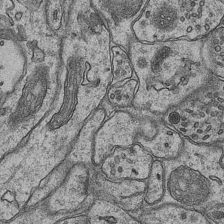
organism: Mouse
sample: CA1 Hippocampus